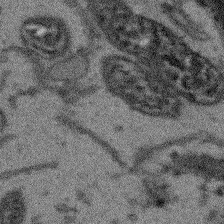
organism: Arabidopsis thaliana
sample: Root tip